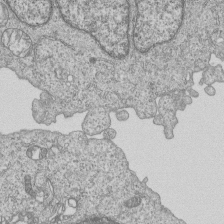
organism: Human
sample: MDA-MB-231 cells